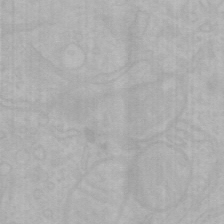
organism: Mouse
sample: Choroid plexus